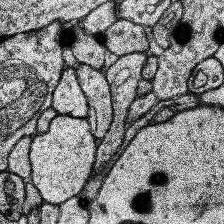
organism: Human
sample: Temporal Lobe